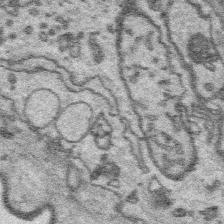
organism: Platynereis dumerilii